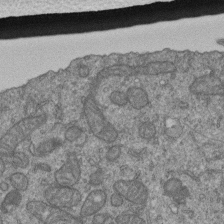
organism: Human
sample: Retinal organoid Rod and Cone cells